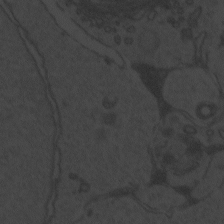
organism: Zebrafish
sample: Macrophage infected with Toxoplasma gondii